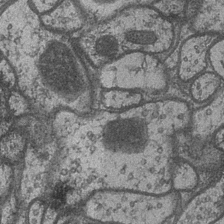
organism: Drosophila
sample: Optic medulla